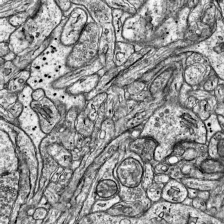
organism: Mouse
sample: Visual Cortex